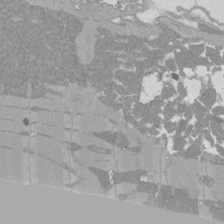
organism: Rat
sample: Left ventricle